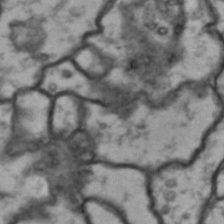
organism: Drosophila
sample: Brain